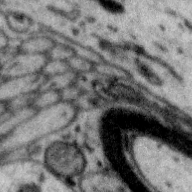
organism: Zebra finch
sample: Brain